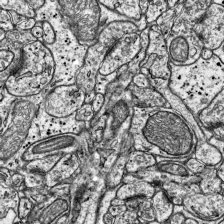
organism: Mouse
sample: Visual Cortex